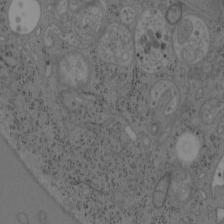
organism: Mouse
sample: OT-I killer T cells with ID8 ovarian cancer cells